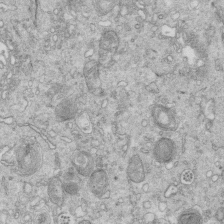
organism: Mouse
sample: Multiciliated cells